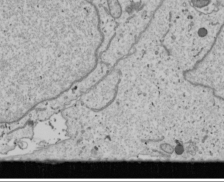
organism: Human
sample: Mitochondria in U2OS cells